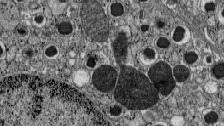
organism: C57BL Mouse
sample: Pancreatic islet